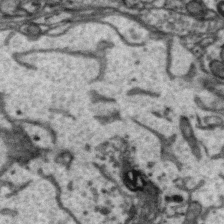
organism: Zebra finch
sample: Brain